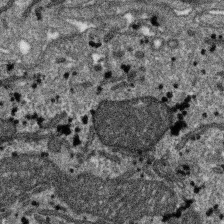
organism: Human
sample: Lung epithelial cells infected with SARS-CoV-2